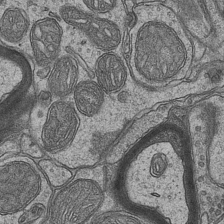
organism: Mouse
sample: CA1 Hippocampus